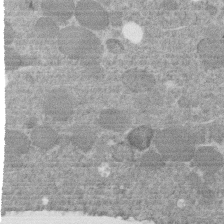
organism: C. elegans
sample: C. elegans embryo early stage